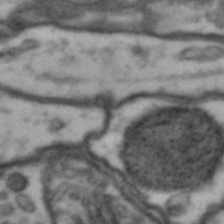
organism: Drosophila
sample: Brain